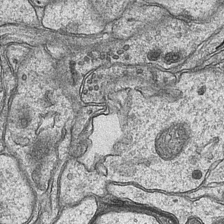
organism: Mouse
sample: CA1 Hippocampus